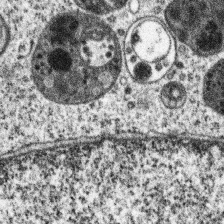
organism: Human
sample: HeLa cells